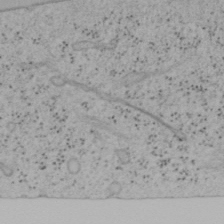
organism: Human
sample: HeLa cells